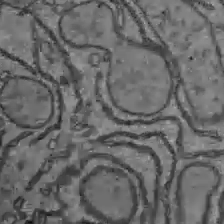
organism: C57BL Mouse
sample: Liver